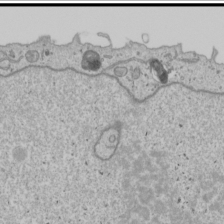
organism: Human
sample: Mitochondria in U2OS cells